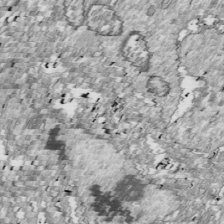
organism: Drosophila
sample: Cell division; meiosis; drosophila spermatocytes